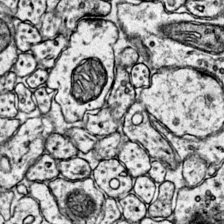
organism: Mouse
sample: Primary visual cortex